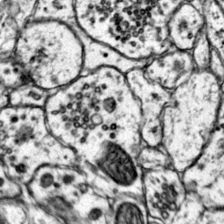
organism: Mouse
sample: Primary visual cortex